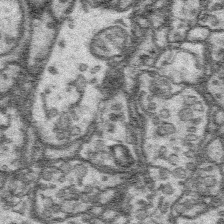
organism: Platynereis dumerilii